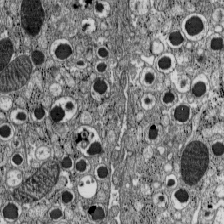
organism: C57BL Mouse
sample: Pancreatic islet